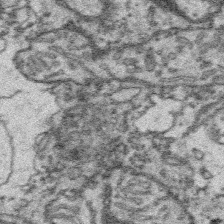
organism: Platynereis dumerilii